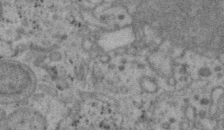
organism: Human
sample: HeLa cells